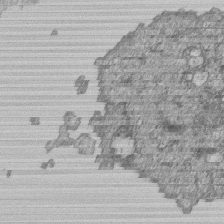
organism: Human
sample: MDA-MB-231 cells